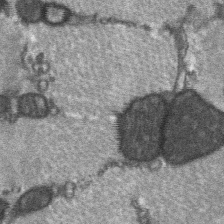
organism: C57BL Mouse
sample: Soleus